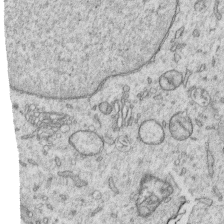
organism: Human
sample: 1205lu cells